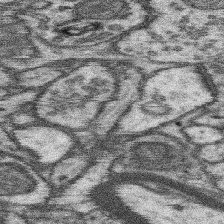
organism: Mouse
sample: Somatosensory cortex neuropil